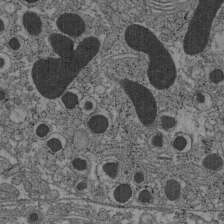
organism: C57BL Mouse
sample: Pancreatic islet